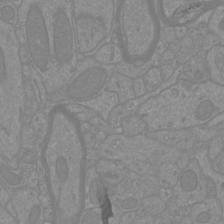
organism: Mouse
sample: Cortical neurons